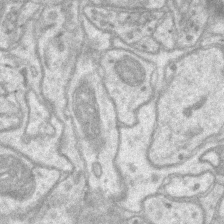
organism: Mouse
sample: CA1 Hippocampus